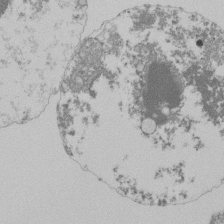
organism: Mouse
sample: Activated Pmel transgenic CD8+ T Cells